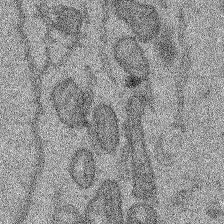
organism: Human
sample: HeLa cells